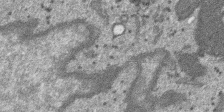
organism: Human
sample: Lung epithelial cells infected with SARS-CoV-2